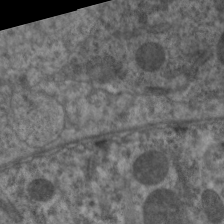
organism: C. elegans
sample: Pharynx